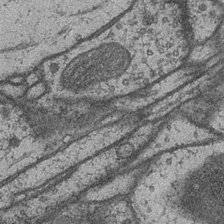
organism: Drosophila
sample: Optic medulla